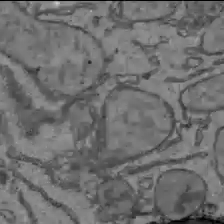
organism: C57BL Mouse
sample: Liver